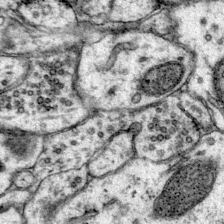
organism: Mouse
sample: Primary visual cortex